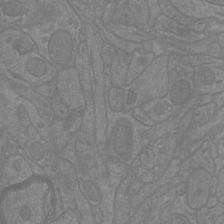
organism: Mouse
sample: Cortical neurons